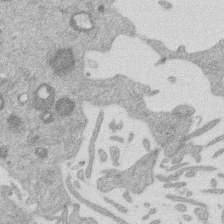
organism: Mouse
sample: Dividing mouse embryo 1 cell stage